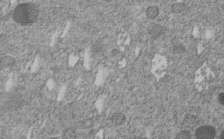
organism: C. elegans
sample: C. elegans embryo early stage